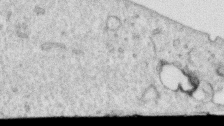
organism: Human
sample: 1205lu cells